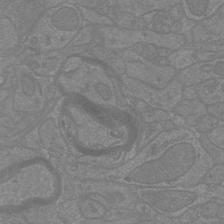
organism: Mouse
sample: Cortical neurons